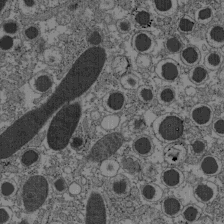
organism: C57BL Mouse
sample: Pancreatic islet